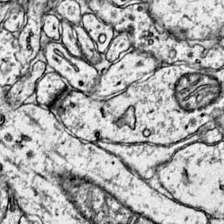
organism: Mouse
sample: Primary visual cortex